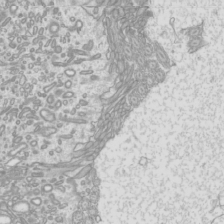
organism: Mouse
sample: Cilia; mouse epididymis